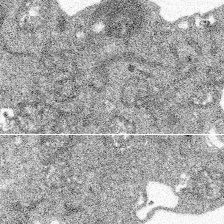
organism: Spongilla lacustris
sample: Multiple